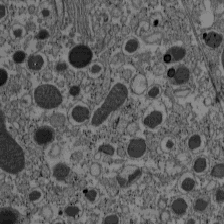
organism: C57BL Mouse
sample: Pancreatic islet